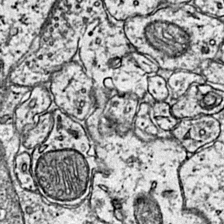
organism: Mouse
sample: Primary visual cortex